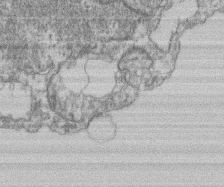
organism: Mouse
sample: T cell stromal cell synapse